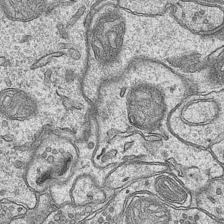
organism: Mouse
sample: CA1 Hippocampus